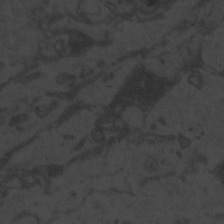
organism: Zebrafish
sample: Macrophage infected with Toxoplasma gondii